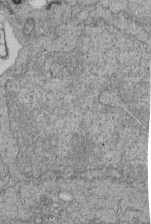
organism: Human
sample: Retinal organoid Rod and Cone cells